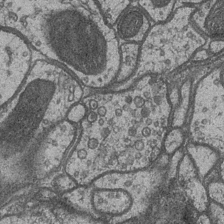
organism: Drosophila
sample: Optic medulla